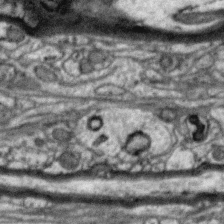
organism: Zebra finch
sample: Brain